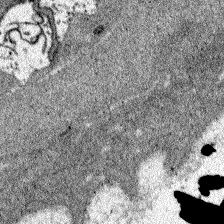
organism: Zebrafish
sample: Larval olfactory bulb